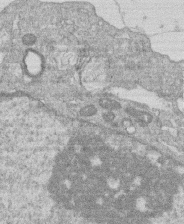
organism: Human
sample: Macrophage cells